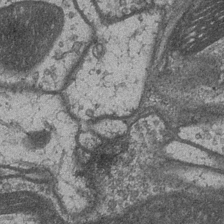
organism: Drosophila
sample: Optic medulla